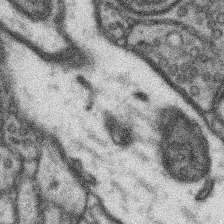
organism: Mouse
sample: Somatosensory cortex neuropil